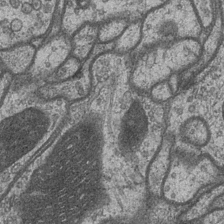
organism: Drosophila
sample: Optic medulla